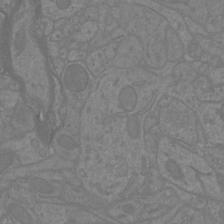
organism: Mouse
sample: Cortical neurons